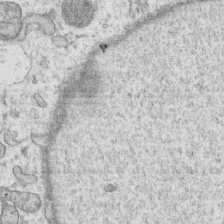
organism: Human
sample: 1205lu cells